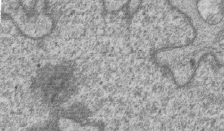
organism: Human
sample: MDA-MB-231 cells